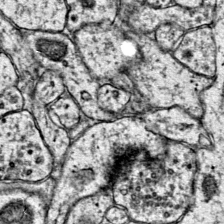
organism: Mouse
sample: Primary visual cortex